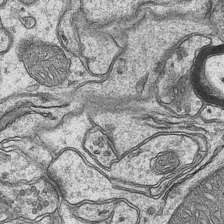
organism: Mouse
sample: CA1 Hippocampus